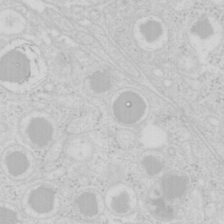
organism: Mouse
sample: Pancreas